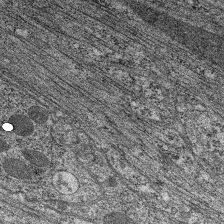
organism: C. elegans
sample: Pharynx